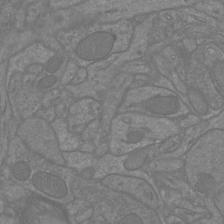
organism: Mouse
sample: Cortical neurons